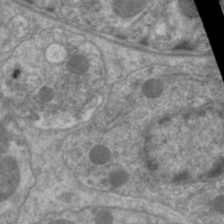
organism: C. elegans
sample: Pharynx